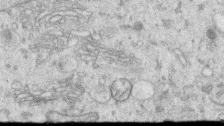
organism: Human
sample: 1205lu cells